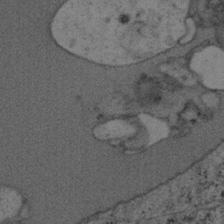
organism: Human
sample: HeLa cells